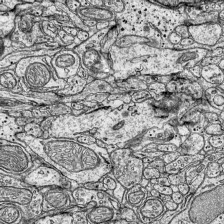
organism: Mouse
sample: Visual Cortex